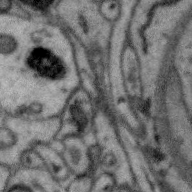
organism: Zebra finch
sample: Brain